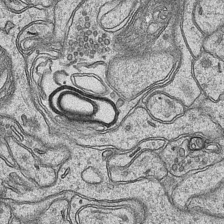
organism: Mouse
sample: CA1 Hippocampus